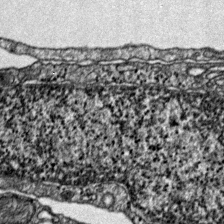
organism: Mouse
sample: Primary visual cortex